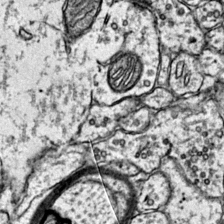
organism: Mouse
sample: Primary visual cortex